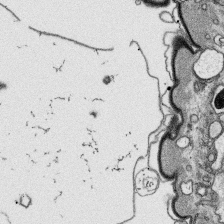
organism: Platynereis dumerilii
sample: Parapodia